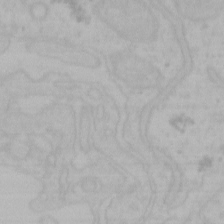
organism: Mouse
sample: Choroid plexus